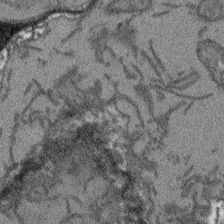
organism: Arabidopsis thaliana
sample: Root tip